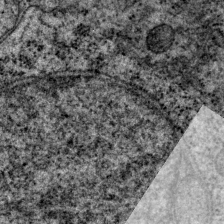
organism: P. pacificus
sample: Pharynx